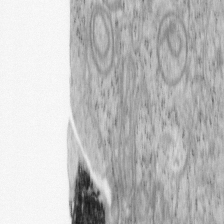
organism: Human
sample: HeLa cells